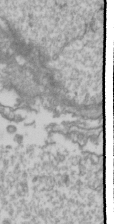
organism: Drosophila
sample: Cell division; meiosis; drosophila spermatocytes